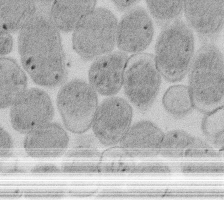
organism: E. coli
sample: Bacterial nucleoid